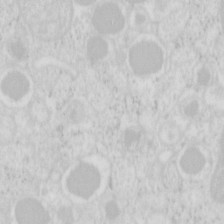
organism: Mouse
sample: Pancreas